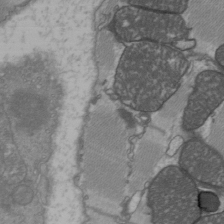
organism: C57BL Mouse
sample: Heart